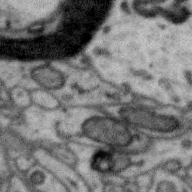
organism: Zebra finch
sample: Brain